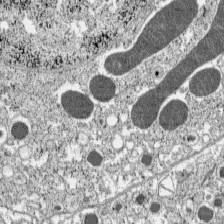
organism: C57BL Mouse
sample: Pancreatic islet